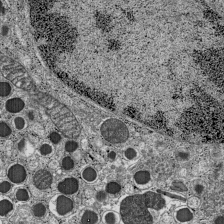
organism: C57BL Mouse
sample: Pancreatic islet